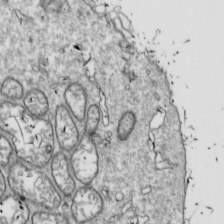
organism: Drosophila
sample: Cell division; meiosis; drosophila spermatocytes